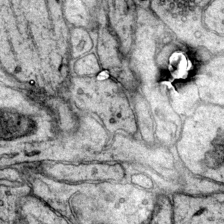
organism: Mouse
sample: Primary visual cortex